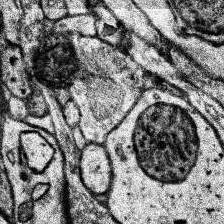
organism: Human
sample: Temporal Lobe